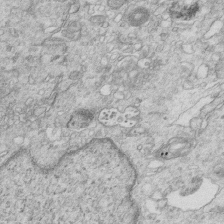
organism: Mouse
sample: Multiciliated cells